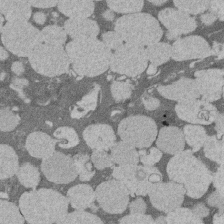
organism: Rat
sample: Salivary granule